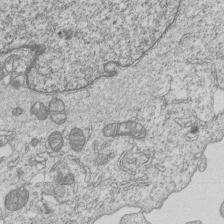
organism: Human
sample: MDA-MB-231 cells